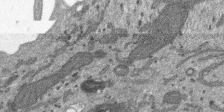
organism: Human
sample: Lung epithelial cells infected with SARS-CoV-2